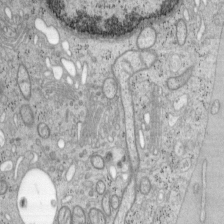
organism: Mouse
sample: OT-I killer T cells with ID8 ovarian cancer cells